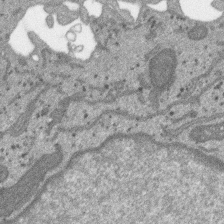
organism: Human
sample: Lung epithelial cells infected with SARS-CoV-2